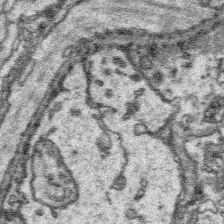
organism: Platynereis dumerilii